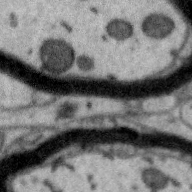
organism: Zebra finch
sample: Brain